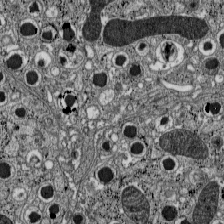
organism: C57BL Mouse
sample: Pancreatic islet